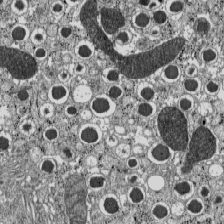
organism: C57BL Mouse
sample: Pancreatic islet